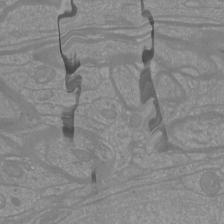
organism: Mouse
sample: Cortical neurons